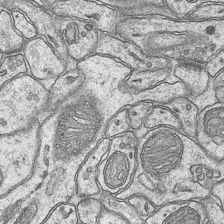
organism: Mouse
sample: CA1 Hippocampus